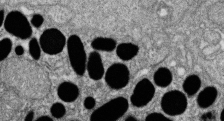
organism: Zebrafish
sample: Cilia; retinal pigment epithelium